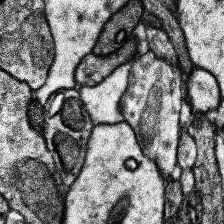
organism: Human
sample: Temporal Lobe